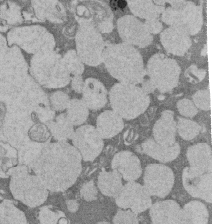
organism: Rat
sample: Salivary granule